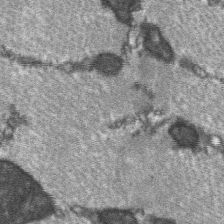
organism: C57BL Mouse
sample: Soleus